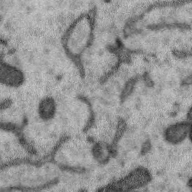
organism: Zebra finch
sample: Brain